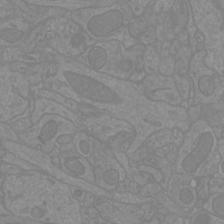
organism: Mouse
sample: Cortical neurons